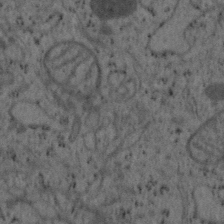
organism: Human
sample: HeLa cells